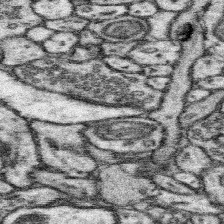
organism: Mouse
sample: Somatosensory cortex neuropil